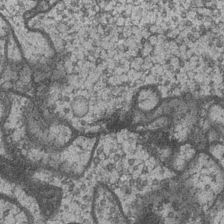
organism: Drosophila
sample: Optic medulla